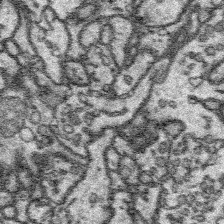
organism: Platynereis dumerilii